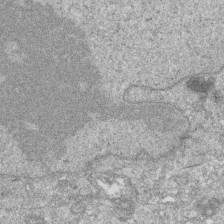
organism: Human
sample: HeLa cell HIV synapse